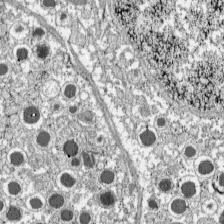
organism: C57BL Mouse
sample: Pancreatic islet